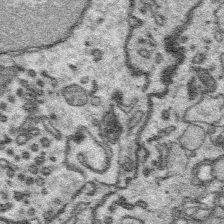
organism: Platynereis dumerilii